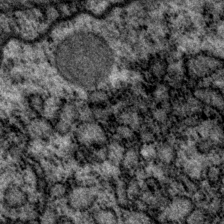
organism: P. pacificus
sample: Pharynx